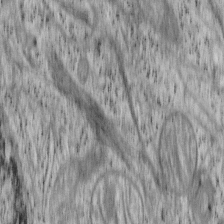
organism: Human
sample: HeLa cells